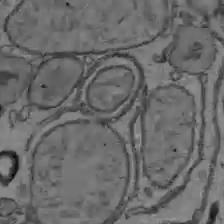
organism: C57BL Mouse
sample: Liver